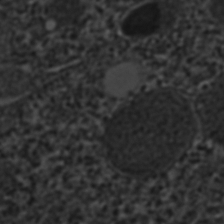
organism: C. elegans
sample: C. elegans embryo